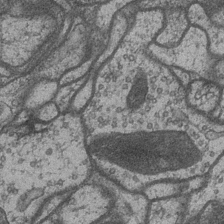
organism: Drosophila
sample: Optic medulla